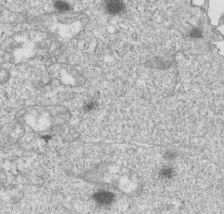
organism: Human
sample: HeLa cell HIV synapse